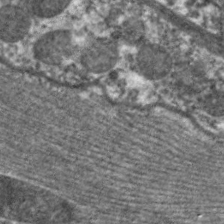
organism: C. elegans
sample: Pharynx